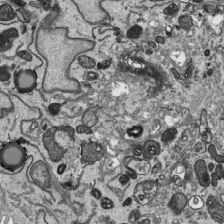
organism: Human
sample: Mitochondria in HCT116 cells